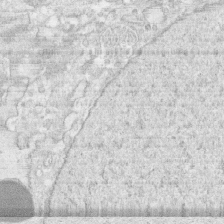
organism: Human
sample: CRL-1474